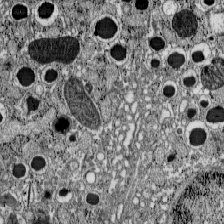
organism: C57BL Mouse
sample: Pancreatic islet